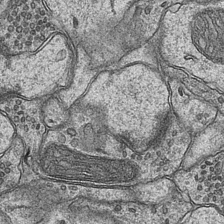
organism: Mouse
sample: CA1 Hippocampus